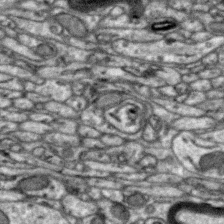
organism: Zebra finch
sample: Brain